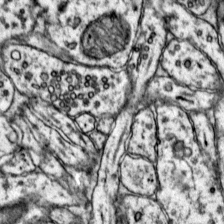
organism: Mouse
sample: Primary visual cortex